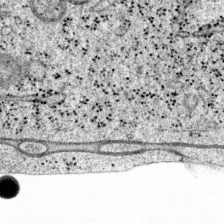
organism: Human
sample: HeLa cells